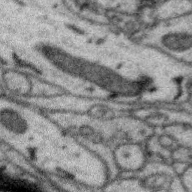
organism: Zebra finch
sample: Brain